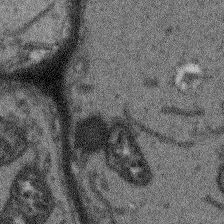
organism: Arabidopsis thaliana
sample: Root tip